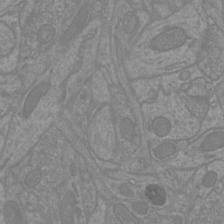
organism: Mouse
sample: Cortical neurons